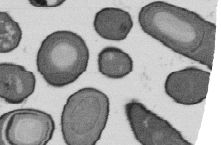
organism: B. subtilis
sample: Bacterial spore